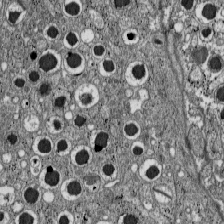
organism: C57BL Mouse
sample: Pancreatic islet